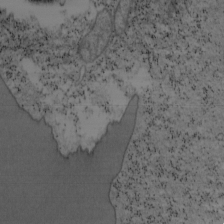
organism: Mouse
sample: OT-I killer T cells with ID8 ovarian cancer cells